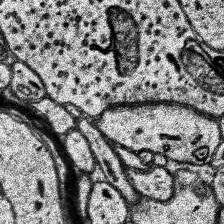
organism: Human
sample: Temporal Lobe